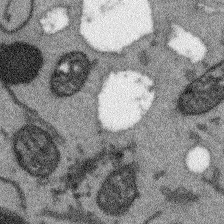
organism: Arabidopsis thaliana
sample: Root tip